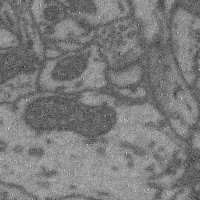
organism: Mouse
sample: Cerebral cortex